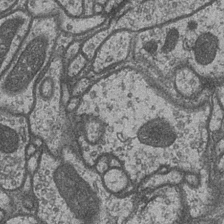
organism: Drosophila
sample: Optic medulla